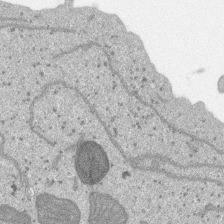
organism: Human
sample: Lung epithelial cells infected with SARS-CoV-2